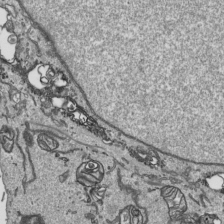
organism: Human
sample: Mitochondria in HCT116 cells